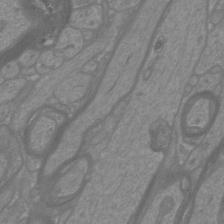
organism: Mouse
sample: Cortical neurons